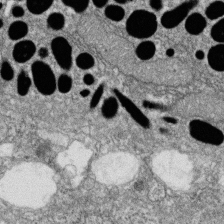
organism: Zebrafish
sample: Cilia; retinal pigment epithelium